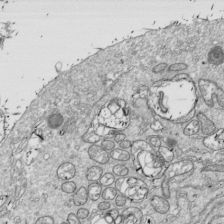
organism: Drosophila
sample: Cell division; meiosis; drosophila spermatocytes